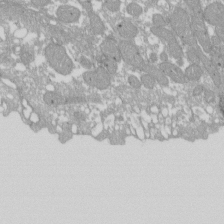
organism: Xenopus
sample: Cilia; centrioles in frog embryo cells